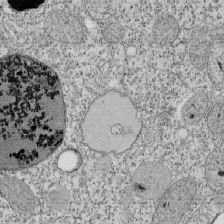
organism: Tetrahymena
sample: Cilia in tetrahymena